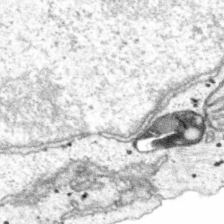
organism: Human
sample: HeLa cells